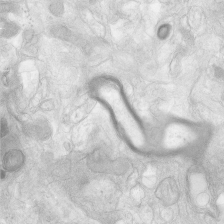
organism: Human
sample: Neocortex